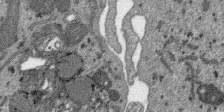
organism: Human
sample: Lung epithelial cells infected with SARS-CoV-2